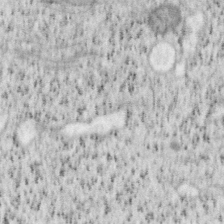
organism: Mouse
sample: OT-I killer T cells with ID8 ovarian cancer cells